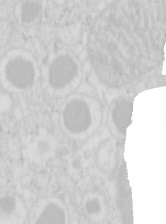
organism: Mouse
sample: Pancreas